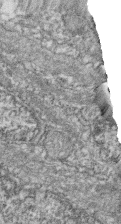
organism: Zebrafish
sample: Cilia; retinal pigment epithelium